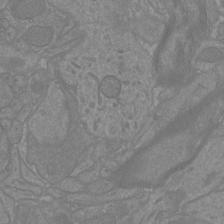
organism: Mouse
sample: Cortical neurons